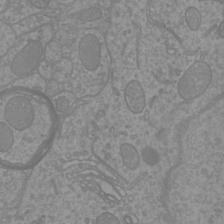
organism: Mouse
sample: Cortical neurons